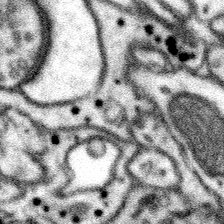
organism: Mouse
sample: Somatosensory cortex neuropil